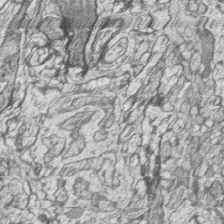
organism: Zebrafish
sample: synaptic ribbons in rod cells and cone cells